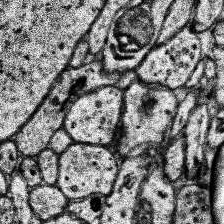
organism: Human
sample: Temporal Lobe